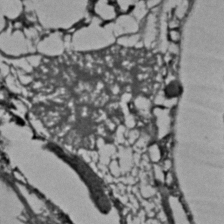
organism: C. elegans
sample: C. elegans embryo